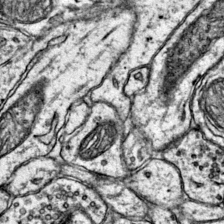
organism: Mouse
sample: Primary visual cortex